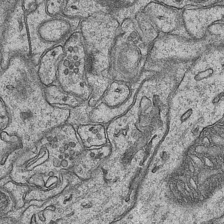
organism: Mouse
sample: CA1 Hippocampus